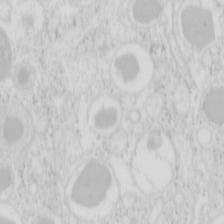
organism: Mouse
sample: Pancreas